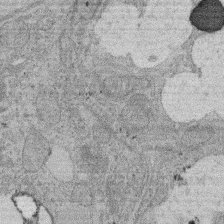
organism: Rat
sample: Salivary granule